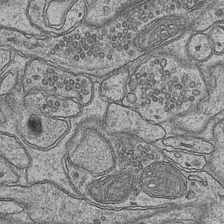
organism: Mouse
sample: CA1 Hippocampus